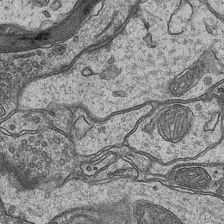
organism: Mouse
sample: CA1 Hippocampus